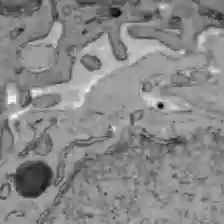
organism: C57BL Mouse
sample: Liver